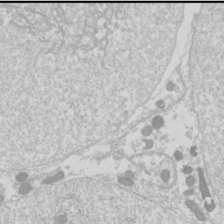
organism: Drosophila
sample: Cell division; meiosis; drosophila spermatocytes